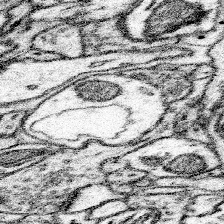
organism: Mouse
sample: Somatosensory cortex neuropil